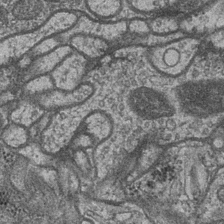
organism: Drosophila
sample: Optic medulla